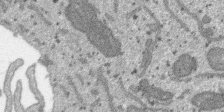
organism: Human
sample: Lung epithelial cells infected with SARS-CoV-2